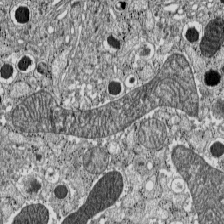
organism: C57BL Mouse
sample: Pancreatic islet